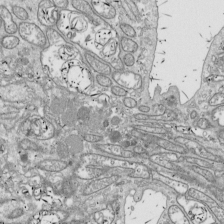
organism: Drosophila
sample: Cell division; meiosis; drosophila spermatocytes